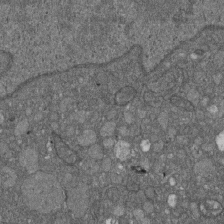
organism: Drosophila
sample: Nephrocyte